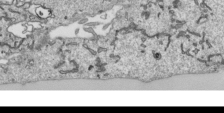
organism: Human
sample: Mitochondria in HCT116 cells